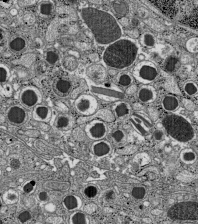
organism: C57BL Mouse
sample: Pancreatic islet